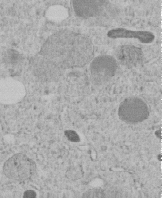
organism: C. elegans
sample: C. elegans embryo early stage